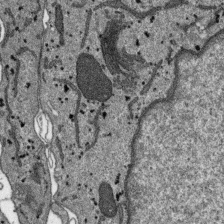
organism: Human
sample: Lung epithelial cells, uninfected (mock) control